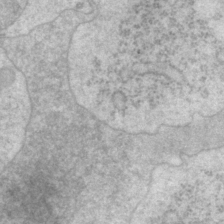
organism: P. pacificus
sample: Pharynx